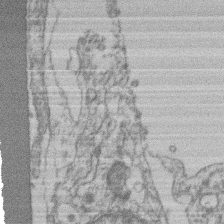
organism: Mouse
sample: T cell stromal cell synapse